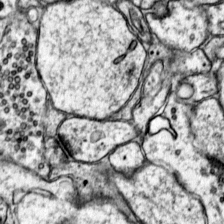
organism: Mouse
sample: Primary visual cortex